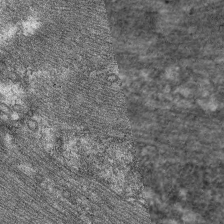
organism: C. elegans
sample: Pharynx